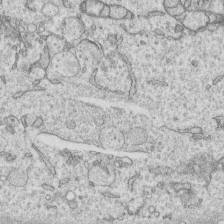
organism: Human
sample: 1205lu cells